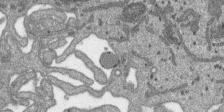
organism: Human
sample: Lung epithelial cells infected with SARS-CoV-2